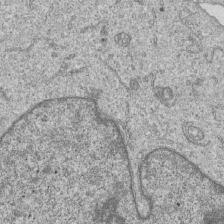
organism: Human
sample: MDA-MB-231 cells